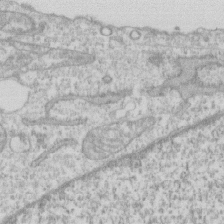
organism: Human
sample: CRL-1474